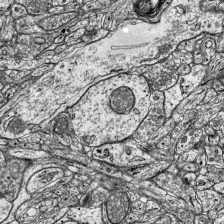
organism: Mouse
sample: Visual Cortex